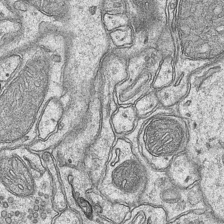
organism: Mouse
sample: CA1 Hippocampus